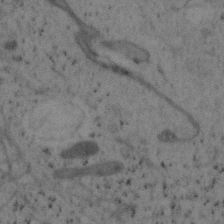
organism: Human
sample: HeLa cells